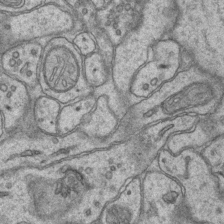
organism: Mouse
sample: CA1 Hippocampus